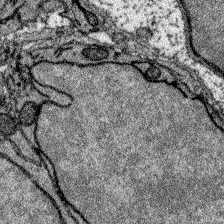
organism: Zebrafish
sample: Larval olfactory bulb